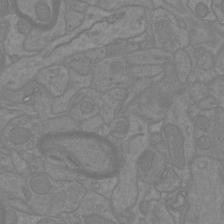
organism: Mouse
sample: Cortical neurons